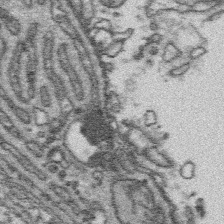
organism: Platynereis dumerilii